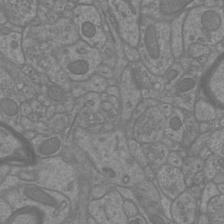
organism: Mouse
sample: Cortical neurons